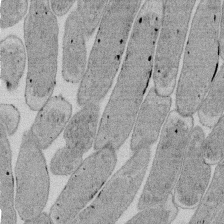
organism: E. coli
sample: Bacterial nucleoid